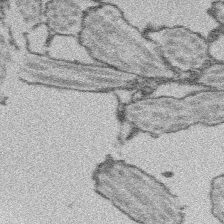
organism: Platynereis dumerilii